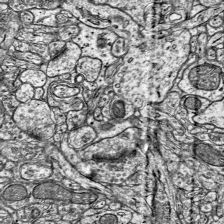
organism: Mouse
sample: Visual Cortex